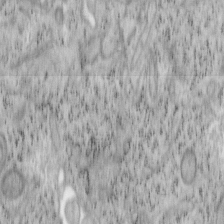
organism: Human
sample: HeLa cells